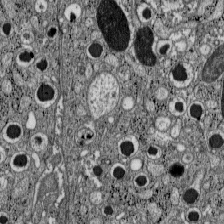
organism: C57BL Mouse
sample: Pancreatic islet